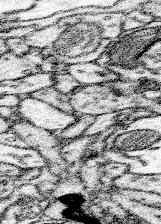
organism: Mouse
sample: Somatosensory cortex neuropil